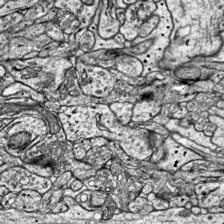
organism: Mouse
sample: Visual Cortex